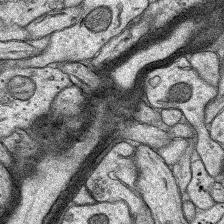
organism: Rat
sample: Hippocampus